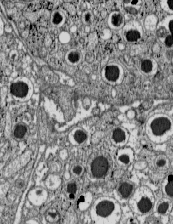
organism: C57BL Mouse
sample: Pancreatic islet